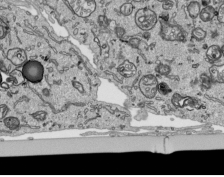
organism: Human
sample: Mitochondria in HCT116 cells